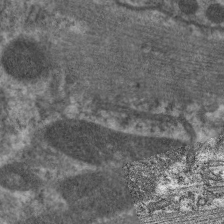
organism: C. elegans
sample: Pharynx